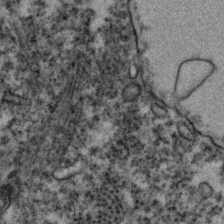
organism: Zebrafish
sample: Zebrafish embryo